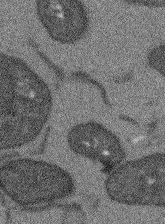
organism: Arabidopsis thaliana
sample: Root tip